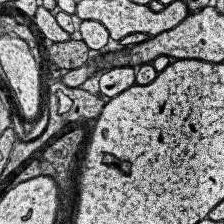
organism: Human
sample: Temporal Lobe